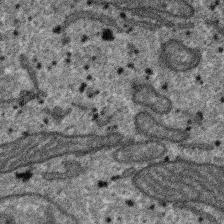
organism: Human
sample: Lung epithelial cells infected with SARS-CoV-2